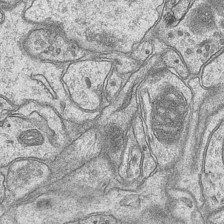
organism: Mouse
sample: CA1 Hippocampus